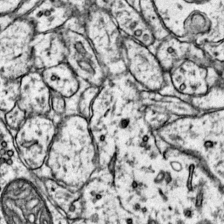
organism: Mouse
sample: Primary visual cortex